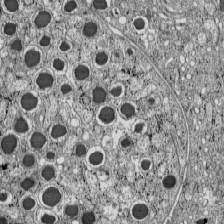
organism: C57BL Mouse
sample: Pancreatic islet